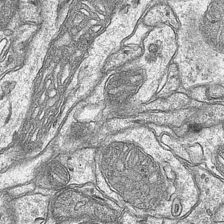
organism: Mouse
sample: CA1 Hippocampus